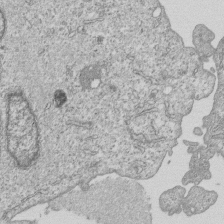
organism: Human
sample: MDA-MB-231 cells